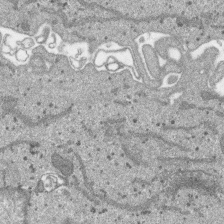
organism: Human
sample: Lung epithelial cells infected with SARS-CoV-2